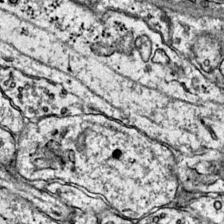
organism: Mouse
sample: Primary visual cortex